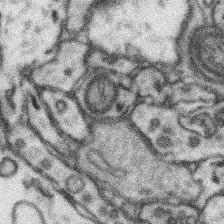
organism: Mouse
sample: Somatosensory cortex neuropil